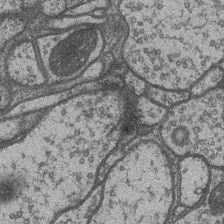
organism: Drosophila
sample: Optic medulla